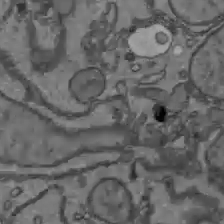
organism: C57BL Mouse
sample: Liver